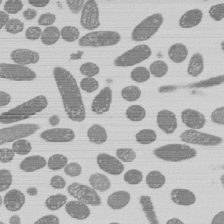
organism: E. coli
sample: Bacterial nucleoid